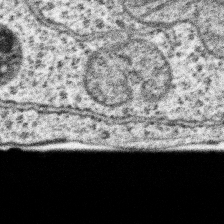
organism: Human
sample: HeLa cells